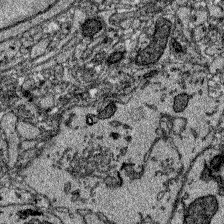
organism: Zebrafish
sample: Larval olfactory bulb